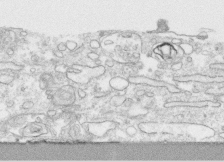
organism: Human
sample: CRL-1474